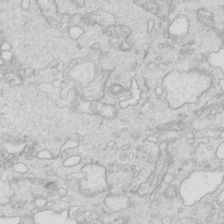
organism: Mouse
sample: Multiciliated cells